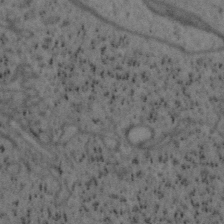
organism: Human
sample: HeLa cells